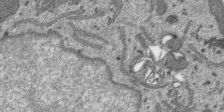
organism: Human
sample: Lung epithelial cells infected with SARS-CoV-2